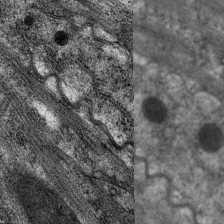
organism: C. elegans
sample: Pharynx